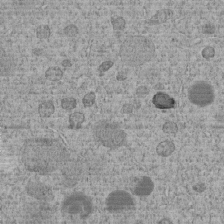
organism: C. elegans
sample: C. elegans embryo early stage